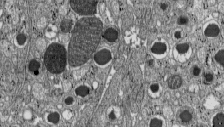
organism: C57BL Mouse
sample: Pancreatic islet